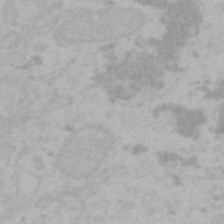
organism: Mouse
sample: Choroid plexus